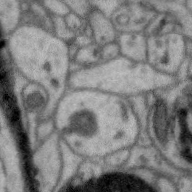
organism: Zebra finch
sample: Brain